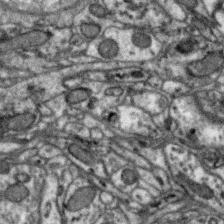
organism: Zebra finch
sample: Brain